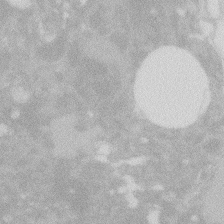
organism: Zebrafish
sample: Macrophage